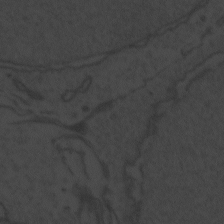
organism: Zebrafish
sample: Macrophage infected with Toxoplasma gondii